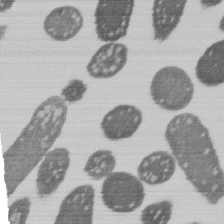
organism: E. coli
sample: Bacterial nucleoid